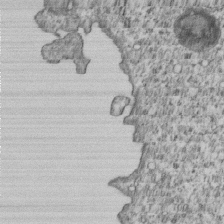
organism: Human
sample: MDA-MB-231 cells